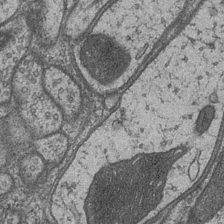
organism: Drosophila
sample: Optic medulla